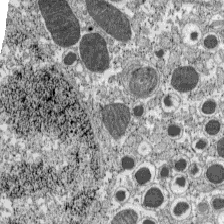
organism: C57BL Mouse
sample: Pancreatic islet